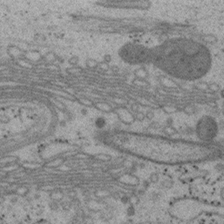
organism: Human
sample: HeLa cells